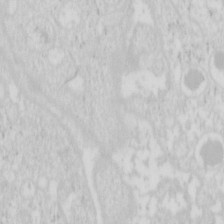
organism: Mouse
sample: Pancreas